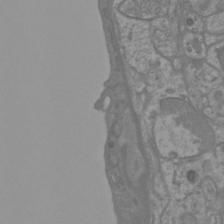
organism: Mouse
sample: Cortical neurons